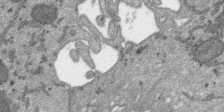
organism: Human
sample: Lung epithelial cells infected with SARS-CoV-2